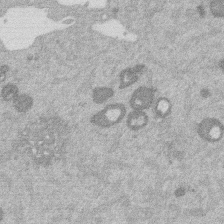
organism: Mouse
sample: Dividing mouse embryo 1 cell stage